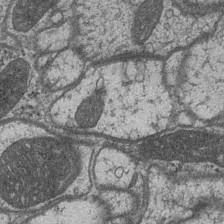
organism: Drosophila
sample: Optic medulla